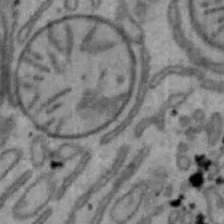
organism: Mouse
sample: Liver